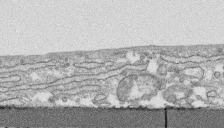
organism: Human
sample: CRL-1474